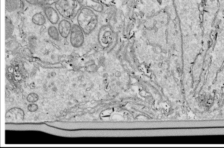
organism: Drosophila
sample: Cell division; meiosis; drosophila spermatocytes